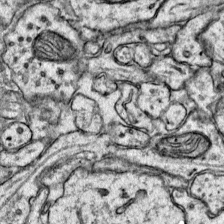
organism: Mouse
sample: Primary visual cortex